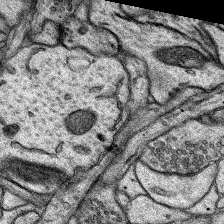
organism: Rat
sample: Hippocampus